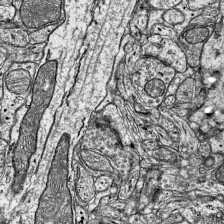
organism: Mouse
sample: Visual Cortex